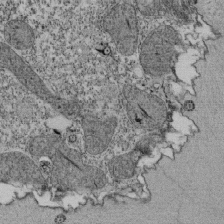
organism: Tetrahymena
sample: Cilia in tetrahymena